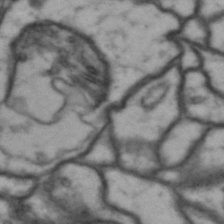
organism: Drosophila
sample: Brain